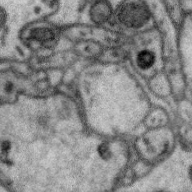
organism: Zebra finch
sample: Brain